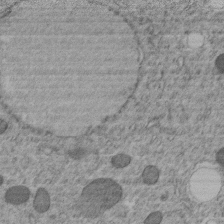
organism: C. elegans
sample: C. elegans embryo early stage